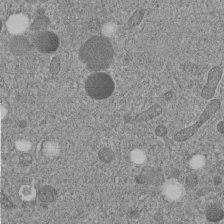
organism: C. elegans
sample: C. elegans embryo early stage